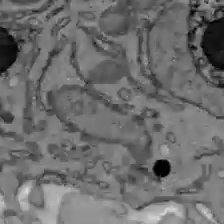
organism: C57BL Mouse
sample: Liver